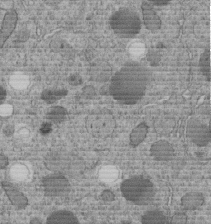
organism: C. elegans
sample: C. elegans embryo early stage